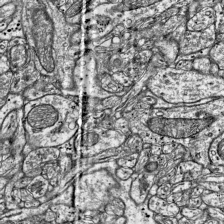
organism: Mouse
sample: Visual Cortex